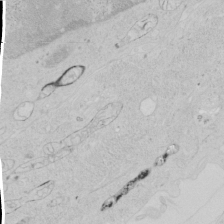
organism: Human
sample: Mitochondria in HCT116 cells